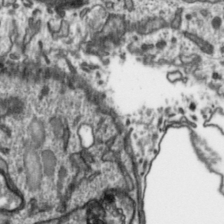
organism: Toxoplasma gondii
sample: Parasites in a vacuole inside a host cell